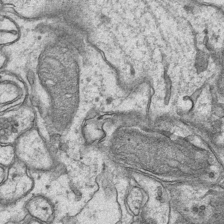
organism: Mouse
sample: CA1 Hippocampus